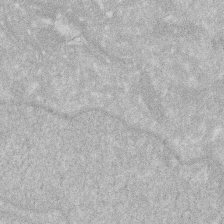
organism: Human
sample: HIV infected U937 cells